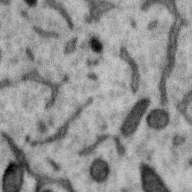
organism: Zebra finch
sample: Brain